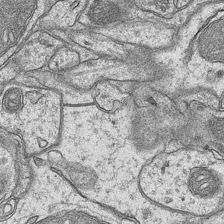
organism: Mouse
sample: CA1 Hippocampus